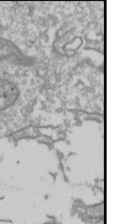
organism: Drosophila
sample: Cell division; meiosis; drosophila spermatocytes